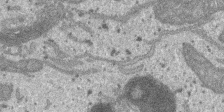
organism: Human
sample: Lung epithelial cells infected with SARS-CoV-2